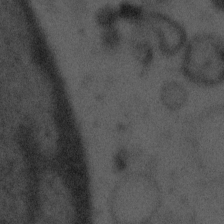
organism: Tuwongella immobilis